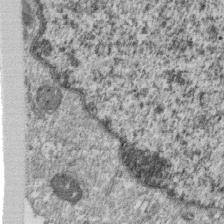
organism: African green monkey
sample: Vero E6 cells infected with SARS-CoV-2